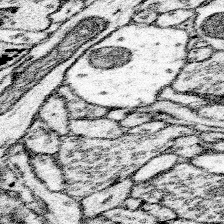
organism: Mouse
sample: Somatosensory cortex neuropil